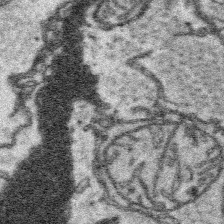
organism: Platynereis dumerilii